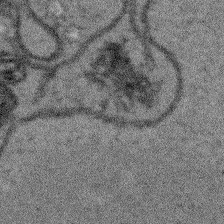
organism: Arabidopsis thaliana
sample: Root tip